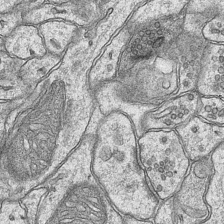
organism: Mouse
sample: CA1 Hippocampus